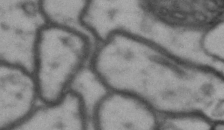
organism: Drosophila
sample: Brain